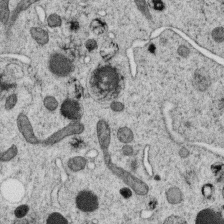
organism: C. elegans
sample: C. elegans oocyte; sperm cells